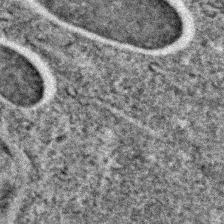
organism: C. elegans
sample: C. elegans embryo